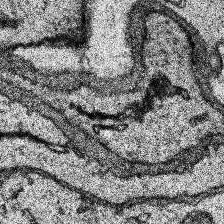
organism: Human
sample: Temporal Lobe